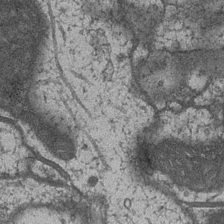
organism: Drosophila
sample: Optic medulla